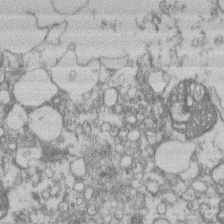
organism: Mouse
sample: T cell stromal cell synapse